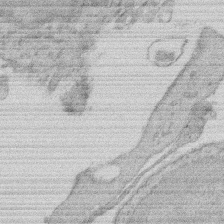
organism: Rat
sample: Salivary granule